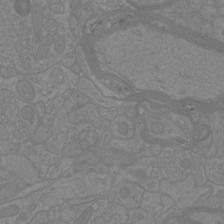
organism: Mouse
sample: Cortical neurons